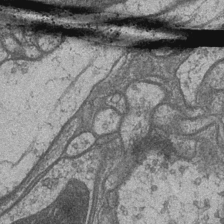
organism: Drosophila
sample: Optic medulla